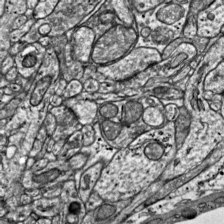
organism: Mouse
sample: Visual Cortex